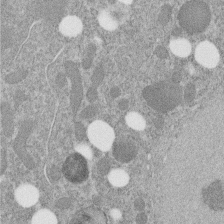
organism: C. elegans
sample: C. elegans embryo early stage